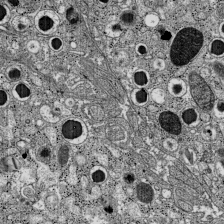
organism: C57BL Mouse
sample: Pancreatic islet